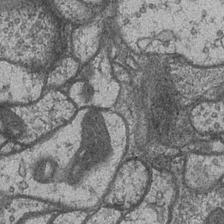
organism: Drosophila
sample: Optic medulla